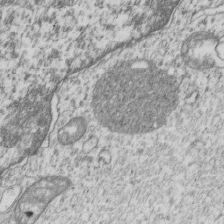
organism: Human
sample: MDA-MB-231 cells